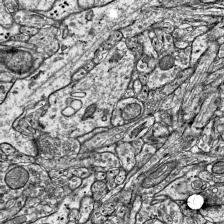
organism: Mouse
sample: Visual Cortex